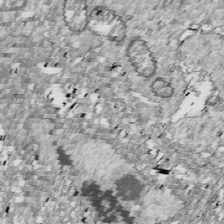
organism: Drosophila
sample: Cell division; meiosis; drosophila spermatocytes